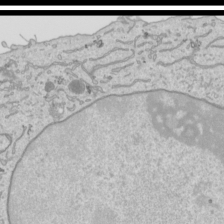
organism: Human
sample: Mitochondria in HCT116 cells